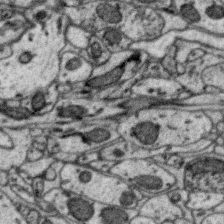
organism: Zebra finch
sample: Brain